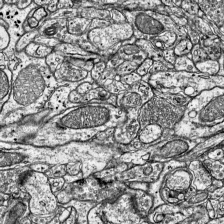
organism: Mouse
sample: Visual Cortex